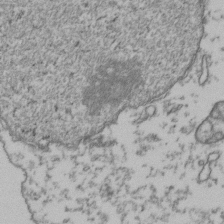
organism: Human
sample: Activated Jurkat CD4+ T cells